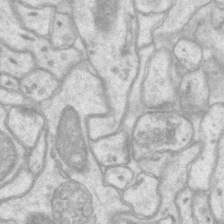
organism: Mouse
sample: CA1 Hippocampus